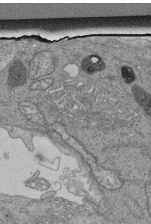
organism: Human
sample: Retinal organoid Rod and Cone cells